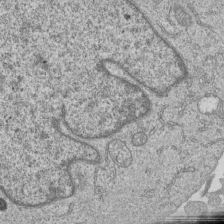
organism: Human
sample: MDA-MB-231 cells